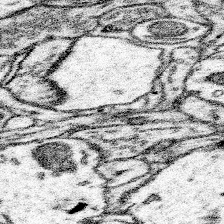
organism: Mouse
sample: Somatosensory cortex neuropil